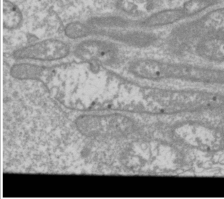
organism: Drosophila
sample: Cell division; meiosis; drosophila spermatocytes